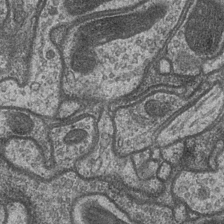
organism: Drosophila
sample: Optic medulla